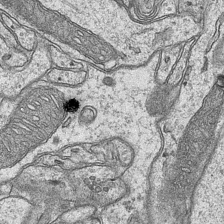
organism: Mouse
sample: CA1 Hippocampus